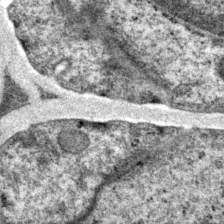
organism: P. pacificus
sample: Pharynx